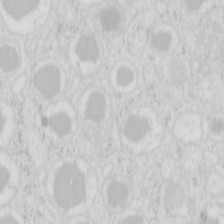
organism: Mouse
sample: Pancreas